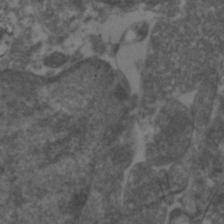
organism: Zebrafish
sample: Zebrafish embryo